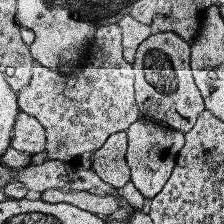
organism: Human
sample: Temporal Lobe